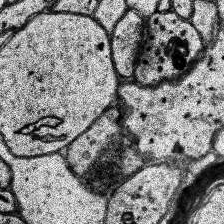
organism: Human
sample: Temporal Lobe